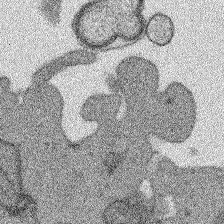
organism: Human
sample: HeLa cells